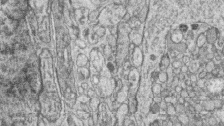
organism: Zebrafish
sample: synaptic ribbons in rod cells and cone cells